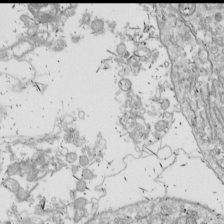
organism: Drosophila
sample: Cell division; meiosis; drosophila spermatocytes